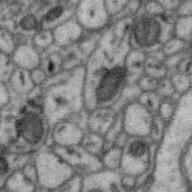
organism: Zebra finch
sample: Brain